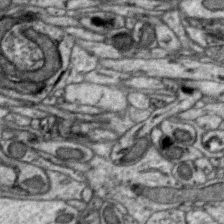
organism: Zebra finch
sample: Brain